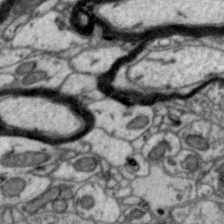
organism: Zebra finch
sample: Brain